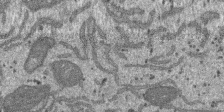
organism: Human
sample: Lung epithelial cells infected with SARS-CoV-2